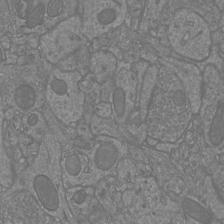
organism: Mouse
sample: Cortical neurons